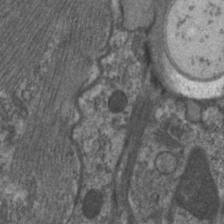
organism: C. elegans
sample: Pharynx